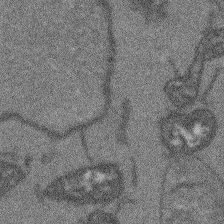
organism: Arabidopsis thaliana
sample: Root tip